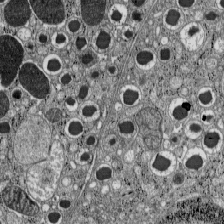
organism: C57BL Mouse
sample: Pancreatic islet